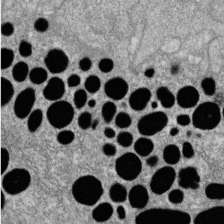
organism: Zebrafish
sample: Cilia; retinal pigment epithelium